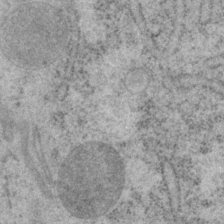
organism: P. pacificus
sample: Pharynx